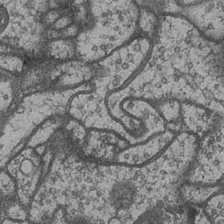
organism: Drosophila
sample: Optic medulla